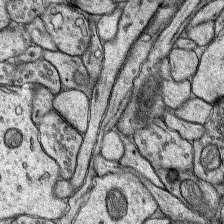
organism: Rat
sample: Hippocampus